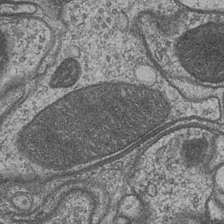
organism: Drosophila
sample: Optic medulla